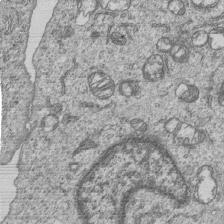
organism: Human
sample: MDA-MB-231 cells